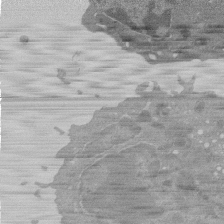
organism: Mouse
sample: Activated Pmel transgenic CD8+ T Cells